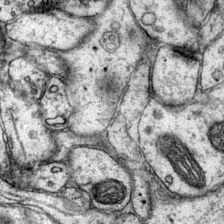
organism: Mouse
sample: Primary visual cortex